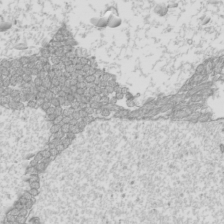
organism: Mouse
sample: Cilia; mouse epididymis